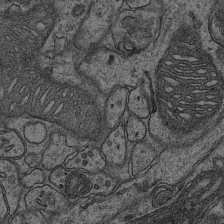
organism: Mouse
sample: CA1 Hippocampus